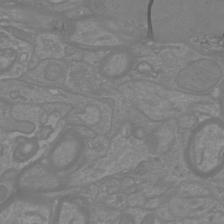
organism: Mouse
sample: Cortical neurons